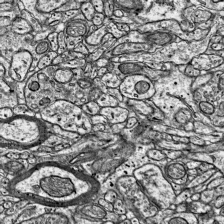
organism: Mouse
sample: Visual Cortex